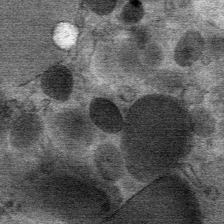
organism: Mouse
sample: Mouse Salivary gland